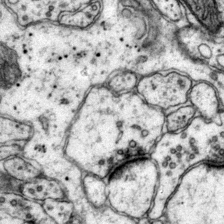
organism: Mouse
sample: Primary visual cortex